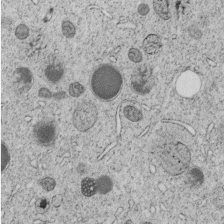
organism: C. elegans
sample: C. elegans embryo early stage